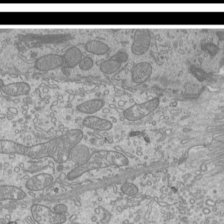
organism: Mouse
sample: Cilia; mouse epididymis